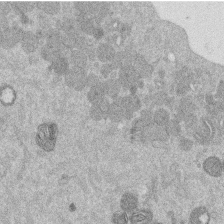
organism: Mouse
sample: Dividing mouse embryo 1 cell stage